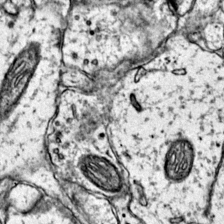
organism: Mouse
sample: Primary visual cortex